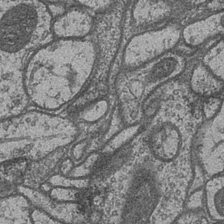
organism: Drosophila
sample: Optic medulla